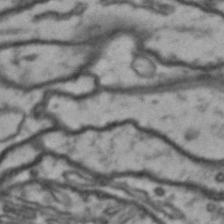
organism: Drosophila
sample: Brain